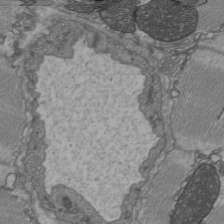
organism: C57BL Mouse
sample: Heart